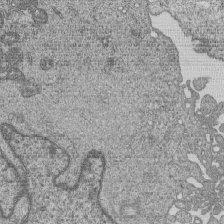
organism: Human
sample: MDA-MB-231 cells